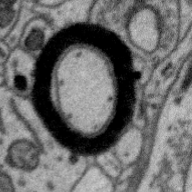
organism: Zebra finch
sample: Brain